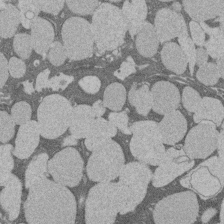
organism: Rat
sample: Salivary granule